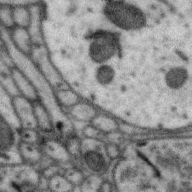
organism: Zebra finch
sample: Brain